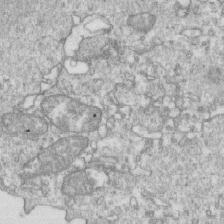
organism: Mouse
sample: Activated OT-1 CD8+ T cells